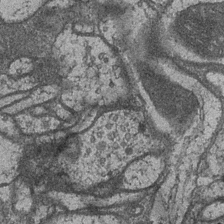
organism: Drosophila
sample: Optic medulla